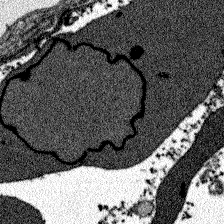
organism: Zebrafish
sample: Larval olfactory bulb